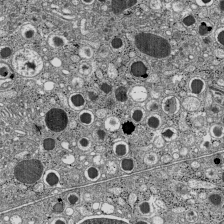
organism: C57BL Mouse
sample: Pancreatic islet